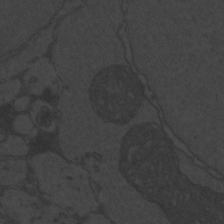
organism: Zebrafish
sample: Macrophage infected with Toxoplasma gondii